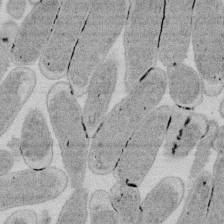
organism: E. coli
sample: Bacterial nucleoid